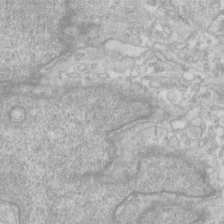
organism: Human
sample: Fibroblast cells